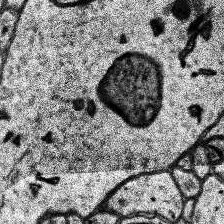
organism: Human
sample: Temporal Lobe